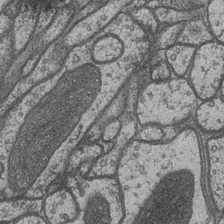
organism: Drosophila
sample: Optic medulla